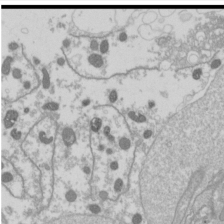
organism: Drosophila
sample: Cell division; meiosis; drosophila spermatocytes